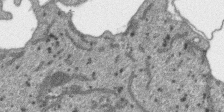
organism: Human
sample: Lung epithelial cells infected with SARS-CoV-2